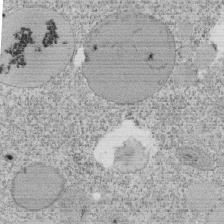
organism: Tetrahymena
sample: Cilia in tetrahymena